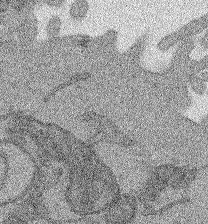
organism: Human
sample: HeLa cells